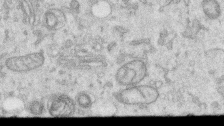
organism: Human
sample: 1205lu cells